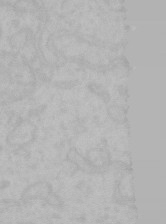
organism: Mouse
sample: Choroid plexus